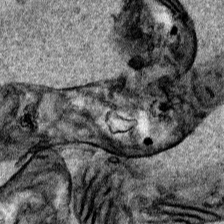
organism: Human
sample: Mitochondria in HCT116 cells